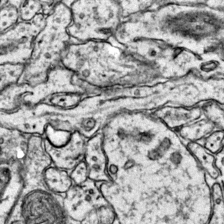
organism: Mouse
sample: Primary visual cortex